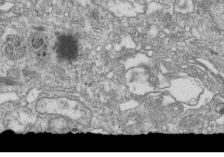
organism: Human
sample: HeLa cell HIV synapse